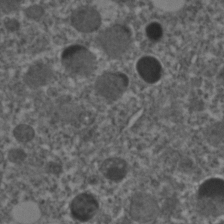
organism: C. elegans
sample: C. elegans embryo